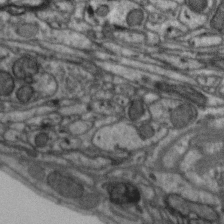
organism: Zebra finch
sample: Brain